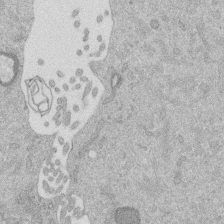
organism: Mouse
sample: Dividing mouse embryo 1 cell stage